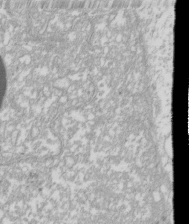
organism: Xenopus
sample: Cilia; centrioles in frog embryo cells